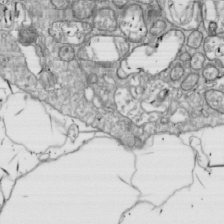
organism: Drosophila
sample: Cell division; meiosis; drosophila spermatocytes